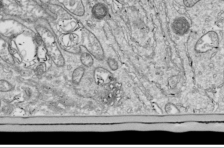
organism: Drosophila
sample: Cell division; meiosis; drosophila spermatocytes